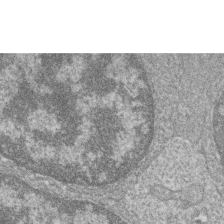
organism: Zebrafish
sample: Cilia; retinal pigment epithelium